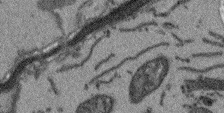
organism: Arabidopsis thaliana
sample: Root tip